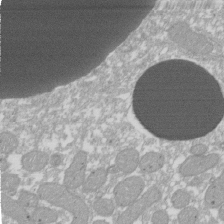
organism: Xenopus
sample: Cilia; centrioles in frog embryo cells